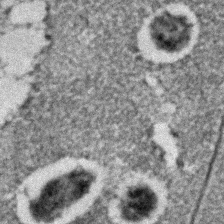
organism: C. elegans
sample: C. elegans embryo